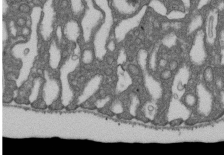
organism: Drosophila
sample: Nephrocyte